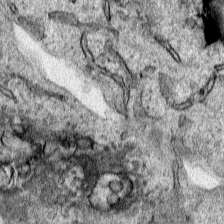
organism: Human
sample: Mitochondria in HCT116 cells